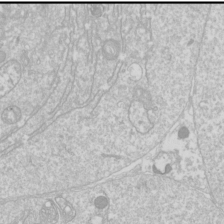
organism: Drosophila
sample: Cell division; meiosis; drosophila spermatocytes